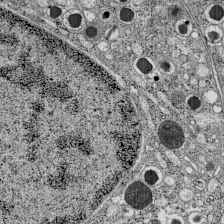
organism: C57BL Mouse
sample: Pancreatic islet